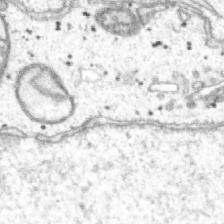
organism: Human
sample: HeLa cells